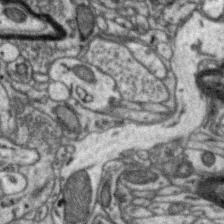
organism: Zebra finch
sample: Brain